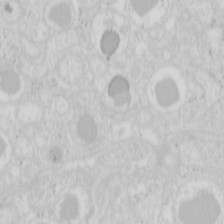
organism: Mouse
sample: Pancreas